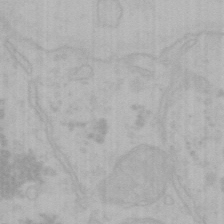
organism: Mouse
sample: Choroid plexus